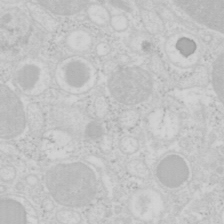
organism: Mouse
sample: Pancreas